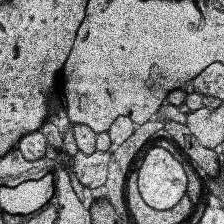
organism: Human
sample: Temporal Lobe